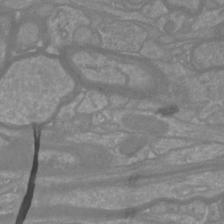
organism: Mouse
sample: Cortical neurons